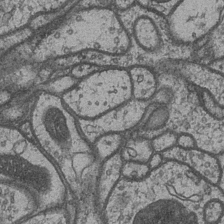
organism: Drosophila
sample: Optic medulla